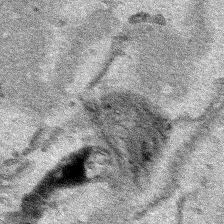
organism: Human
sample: Mitochondria in HCT116 cells